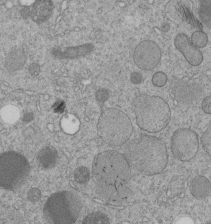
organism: C. elegans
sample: C. elegans embryo early stage